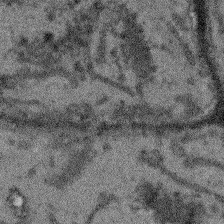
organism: Arabidopsis thaliana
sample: Root tip